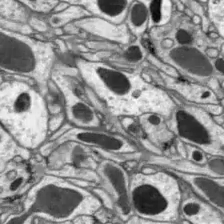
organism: Drosophila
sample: Optic lobe